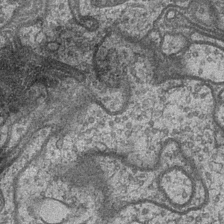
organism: Drosophila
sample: Optic medulla